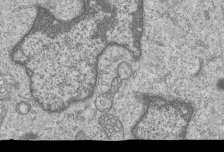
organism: Human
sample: MDA-MB-231 cells